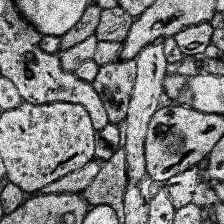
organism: Human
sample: Temporal Lobe